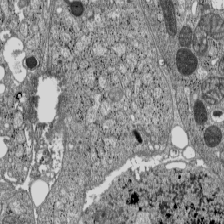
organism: C57BL Mouse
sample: Pancreatic islet